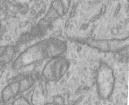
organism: Human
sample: Centriole in RPE cells